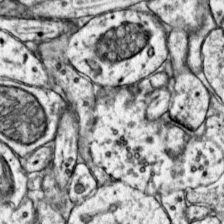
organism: Mouse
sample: Primary visual cortex